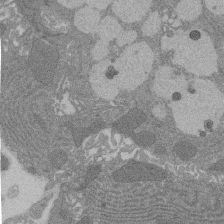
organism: Rat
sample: Salivary granule